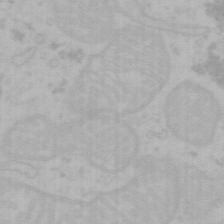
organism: Mouse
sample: Choroid plexus